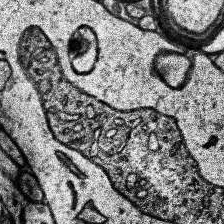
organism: Human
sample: Temporal Lobe